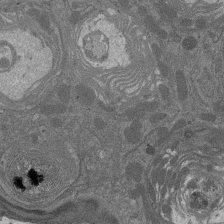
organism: Drosophila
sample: Antenna